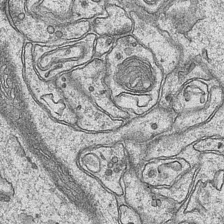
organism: Mouse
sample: CA1 Hippocampus